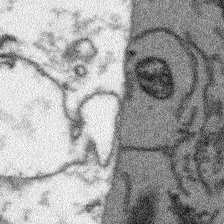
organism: Arabidopsis thaliana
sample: Root tip